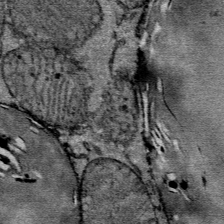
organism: Mouse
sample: Mouse Salivary gland